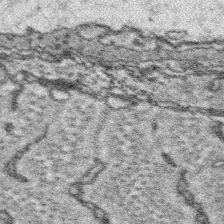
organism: Platynereis dumerilii